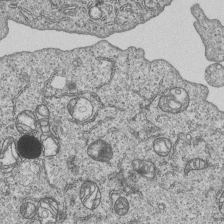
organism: Human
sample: MDA-MB-231 cells